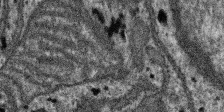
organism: Human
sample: Lung epithelial cells infected with SARS-CoV-2